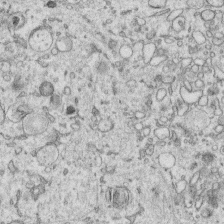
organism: Human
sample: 1205lu cells